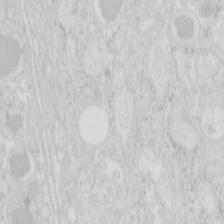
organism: Mouse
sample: Pancreas